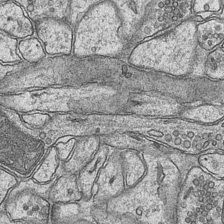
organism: Mouse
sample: CA1 Hippocampus